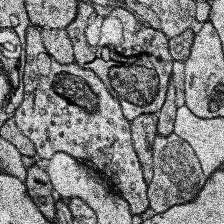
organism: Human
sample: Temporal Lobe